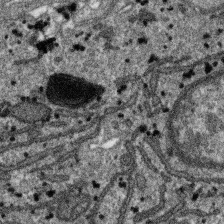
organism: Human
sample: Lung epithelial cells infected with SARS-CoV-2